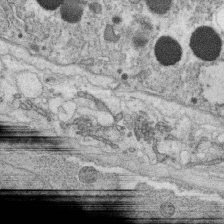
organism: C. elegans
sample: C. elegans oocyte; sperm cells